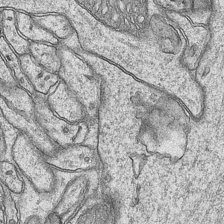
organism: Mouse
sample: CA1 Hippocampus